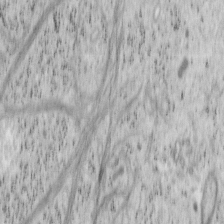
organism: Human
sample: HeLa cells